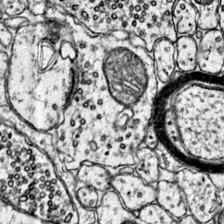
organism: Mouse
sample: Primary visual cortex